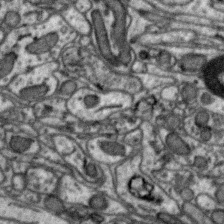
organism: Zebra finch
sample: Brain